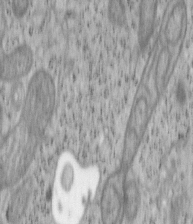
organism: Human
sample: HeLa cells